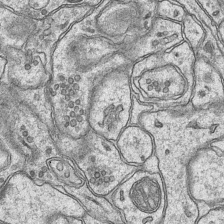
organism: Mouse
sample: CA1 Hippocampus